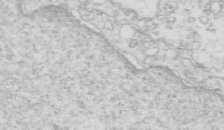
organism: Mouse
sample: Multiciliated cells